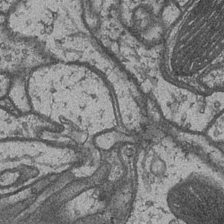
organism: Drosophila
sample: Optic medulla